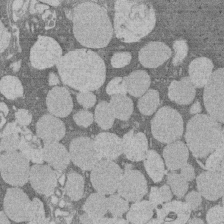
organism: Rat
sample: Salivary granule